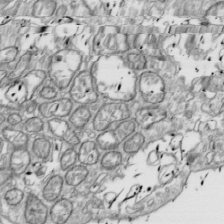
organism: Drosophila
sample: Cell division; meiosis; drosophila spermatocytes